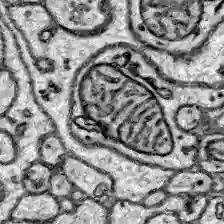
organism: Zebrafish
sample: Brain